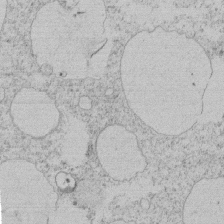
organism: Tetrahymena